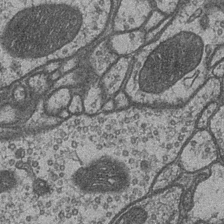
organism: Drosophila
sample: Optic medulla